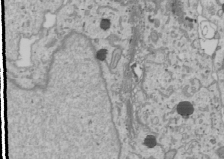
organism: Human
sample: Mitochondria in U2OS cells